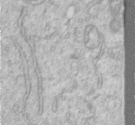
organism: Human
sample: Centriole in RPE cells